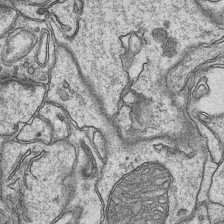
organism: Mouse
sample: CA1 Hippocampus